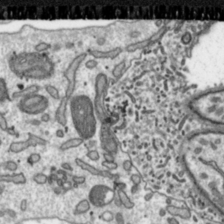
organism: Toxoplasma gondii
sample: Parasites in a vacuole inside a host cell